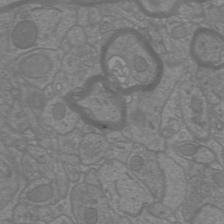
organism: Mouse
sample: Cortical neurons